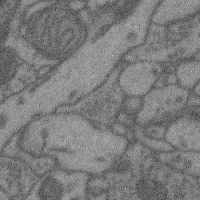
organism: Mouse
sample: Cerebral cortex